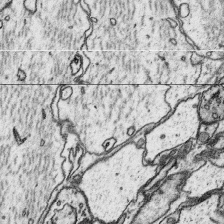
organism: Platynereis dumerilii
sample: Parapodia